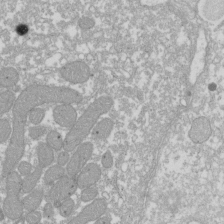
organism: Xenopus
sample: Cilia; centrioles in frog embryo cells